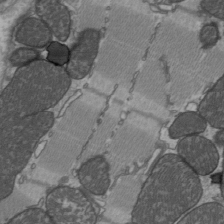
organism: C57BL Mouse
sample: Heart